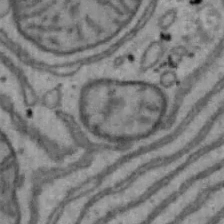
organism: Mouse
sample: Liver